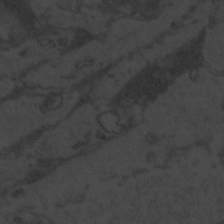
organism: Zebrafish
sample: Macrophage infected with Toxoplasma gondii